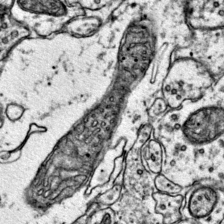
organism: Mouse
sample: Primary visual cortex